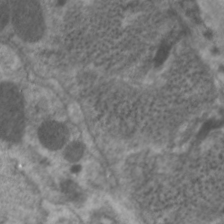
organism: C. elegans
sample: Pharynx